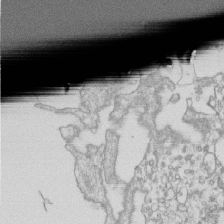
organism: Mouse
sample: Macrophages